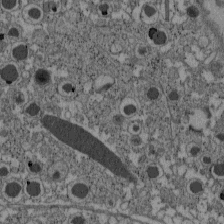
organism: C57BL Mouse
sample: Pancreatic islet